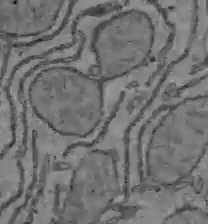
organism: C57BL Mouse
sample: Liver